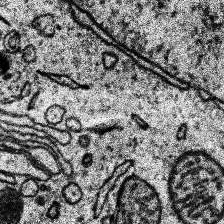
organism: Human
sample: Temporal Lobe